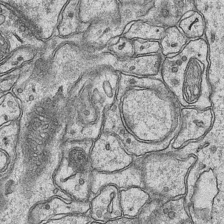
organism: Mouse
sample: CA1 Hippocampus